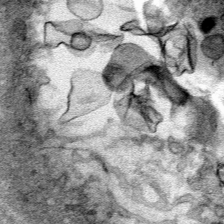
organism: Human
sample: Mitochondria in HCT116 cells